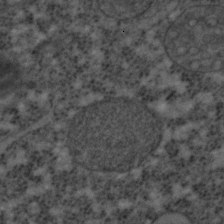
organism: C. elegans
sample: C. elegans embryo